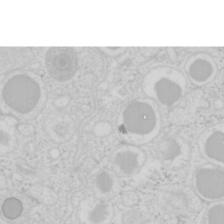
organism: Mouse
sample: Pancreas